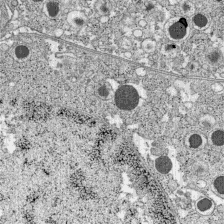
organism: C57BL Mouse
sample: Pancreatic islet